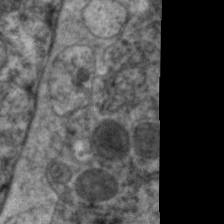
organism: C. elegans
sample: Pharynx